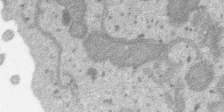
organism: Human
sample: Lung epithelial cells infected with SARS-CoV-2